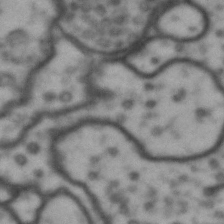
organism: Drosophila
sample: Brain